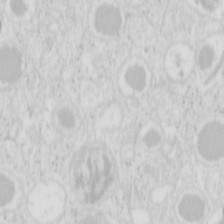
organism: Mouse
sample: Pancreas